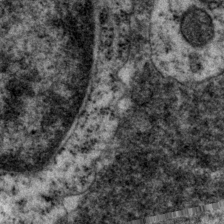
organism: P. pacificus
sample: Pharynx